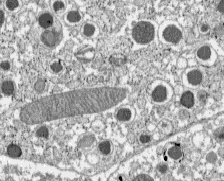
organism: C57BL Mouse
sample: Pancreatic islet